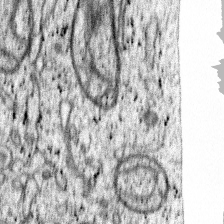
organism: Human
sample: HeLa cells